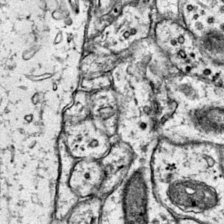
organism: Mouse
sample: Primary visual cortex